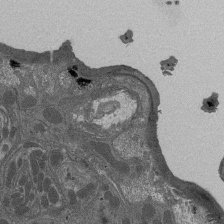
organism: Drosophila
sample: Antenna